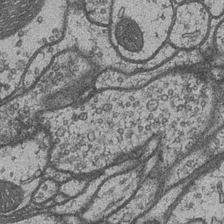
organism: Drosophila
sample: Optic medulla